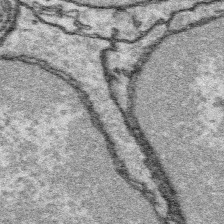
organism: Platynereis dumerilii